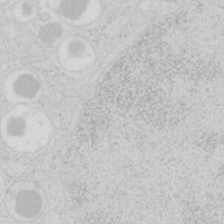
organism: Mouse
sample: Pancreas